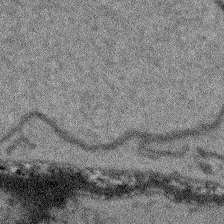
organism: Arabidopsis thaliana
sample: Root tip